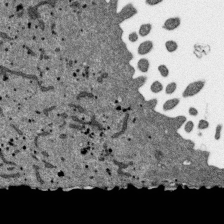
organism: Human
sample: Lung epithelial cells, uninfected (mock) control